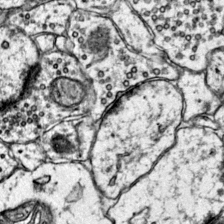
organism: Mouse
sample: Primary visual cortex